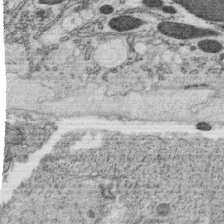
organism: C. elegans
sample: C. elegans oocyte; sperm cells